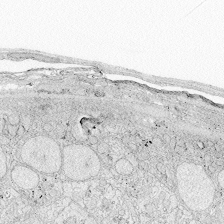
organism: Zebrafish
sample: Whole-Brain